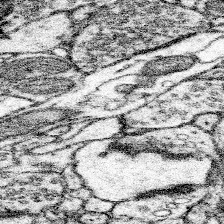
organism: Mouse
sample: Somatosensory cortex neuropil